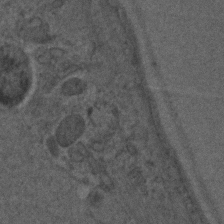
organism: C. elegans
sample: C. elegans embryo